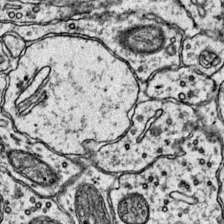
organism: Mouse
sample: Primary visual cortex